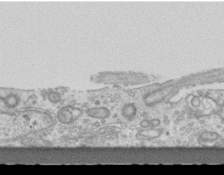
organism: Mouse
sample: Centriole in ependymal cells